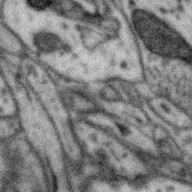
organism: Zebra finch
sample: Brain